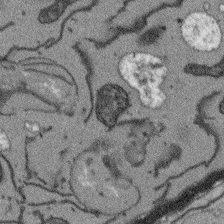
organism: Arabidopsis thaliana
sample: Root tip